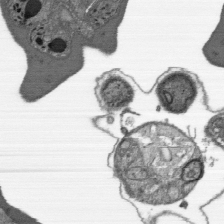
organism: Plasmodium falciparum